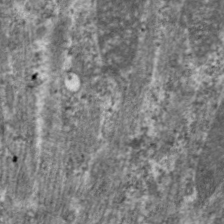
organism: C. elegans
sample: Pharynx